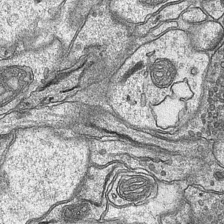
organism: Mouse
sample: CA1 Hippocampus